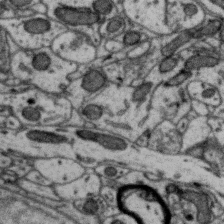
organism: Zebra finch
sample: Brain